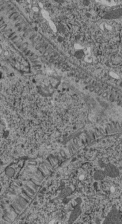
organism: C. elegans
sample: C. elegans pharynx